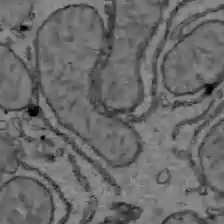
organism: C57BL Mouse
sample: Liver